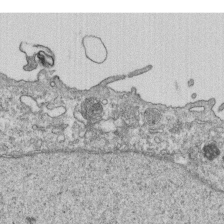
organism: Human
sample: HeLa cell HIV synapse